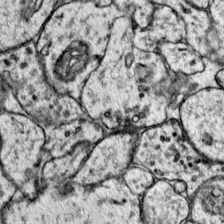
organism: Mouse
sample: Primary visual cortex